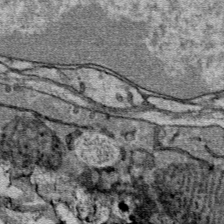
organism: Mouse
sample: Mouse Salivary gland